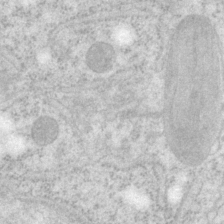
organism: P. pacificus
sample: Pharynx